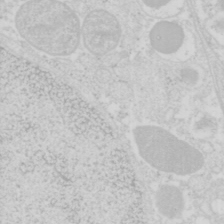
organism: Mouse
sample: Pancreas